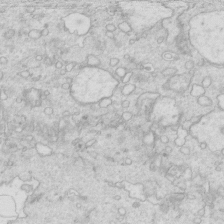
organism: Mouse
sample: Multiciliated cells